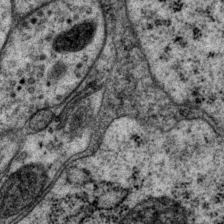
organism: P. pacificus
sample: Pharynx